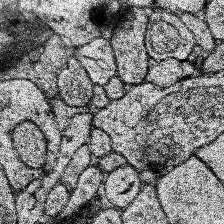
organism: Human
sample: Temporal Lobe